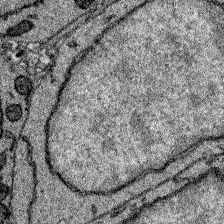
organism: Zebrafish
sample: Larval olfactory bulb